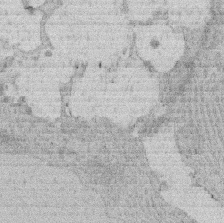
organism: Rat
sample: Salivary granule